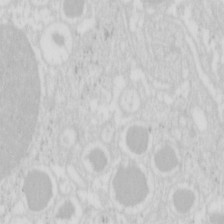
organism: Mouse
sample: Pancreas